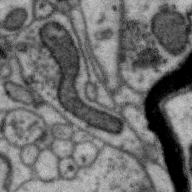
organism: Zebra finch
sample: Brain